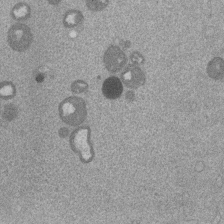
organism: Mouse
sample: Dividing mouse embryo 1 cell stage